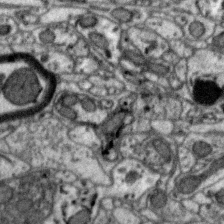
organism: Zebra finch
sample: Brain